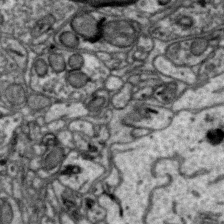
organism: Zebra finch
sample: Brain